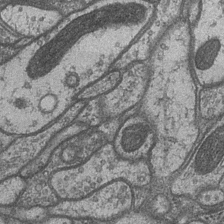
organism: Drosophila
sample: Optic medulla